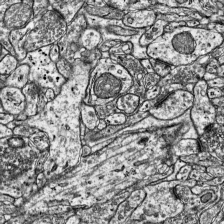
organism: Mouse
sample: Visual Cortex